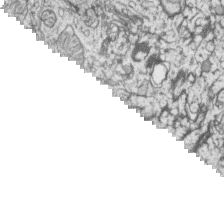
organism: Zebrafish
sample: synaptic ribbons in rod cells and cone cells